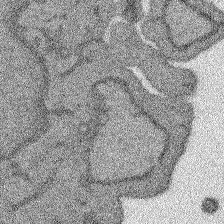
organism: Human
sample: HeLa cells